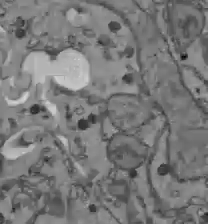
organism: C57BL Mouse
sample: Liver